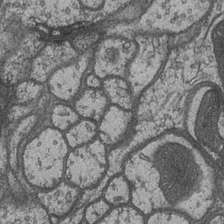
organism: Drosophila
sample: Optic medulla